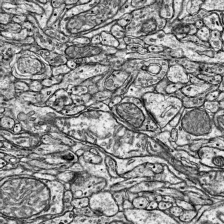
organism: Mouse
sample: Visual Cortex